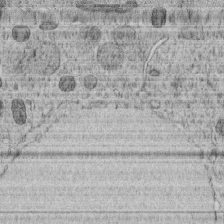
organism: C. elegans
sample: C. elegans embryo early stage